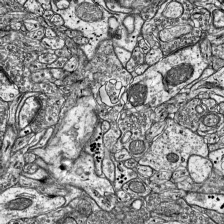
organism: Mouse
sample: Visual Cortex